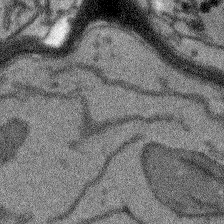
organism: Arabidopsis thaliana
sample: Root tip